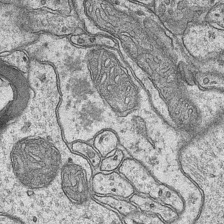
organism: Mouse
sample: CA1 Hippocampus